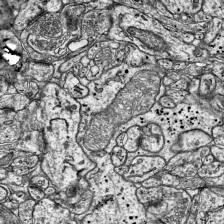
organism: Mouse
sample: Visual Cortex